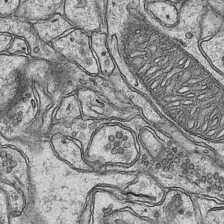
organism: Mouse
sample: CA1 Hippocampus